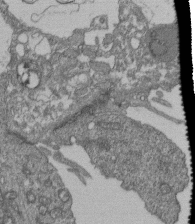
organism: Human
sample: Retinal organoid Rod and Cone cells